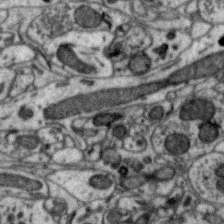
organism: Zebra finch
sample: Brain